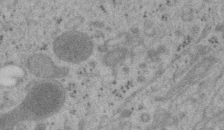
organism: Human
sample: HeLa cells